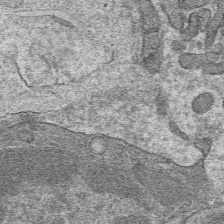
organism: Mouse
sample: Mouse hepatocytes